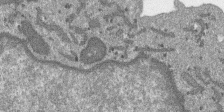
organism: Human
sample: Lung epithelial cells infected with SARS-CoV-2